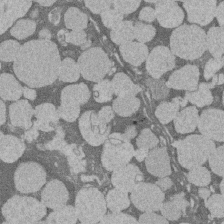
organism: Rat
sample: Salivary granule